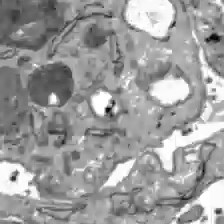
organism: C57BL Mouse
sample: Liver